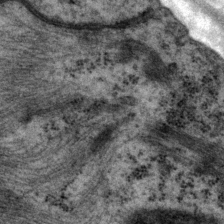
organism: P. pacificus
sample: Pharynx